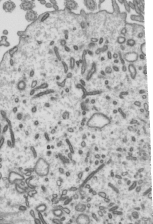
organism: Mouse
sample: Mouse epididymis efferent ductule cilia